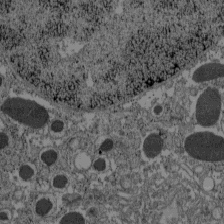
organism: C57BL Mouse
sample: Pancreatic islet